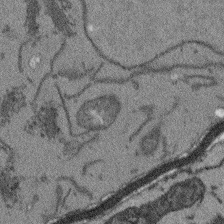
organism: Arabidopsis thaliana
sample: Root tip